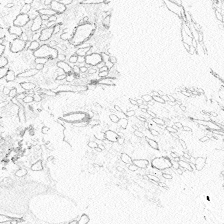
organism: Zebrafish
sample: Whole-Brain